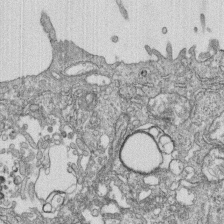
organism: Human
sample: HeLa cell HIV synapse